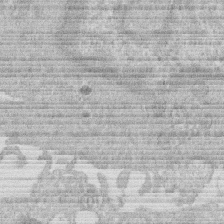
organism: Human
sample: Macrophage cells